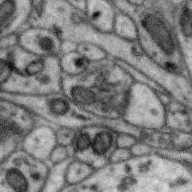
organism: Zebra finch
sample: Brain